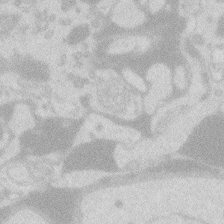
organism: Zebrafish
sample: Macrophage